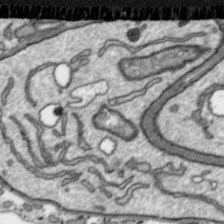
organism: Toxoplasma gondii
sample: Parasites in a vacuole inside a host cell